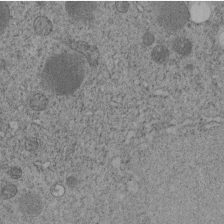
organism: C. elegans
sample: C. elegans embryo early stage